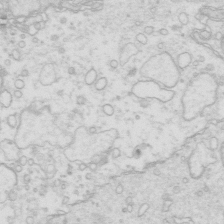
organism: Mouse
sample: Multiciliated cells